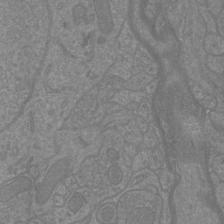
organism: Mouse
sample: Cortical neurons